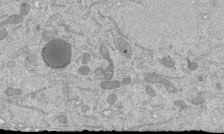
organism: Mouse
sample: ED-1 cell nuclei; centrioles